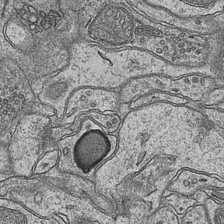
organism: Mouse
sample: CA1 Hippocampus